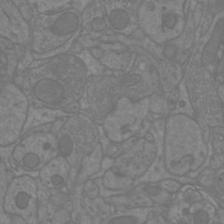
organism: Mouse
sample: Cortical neurons